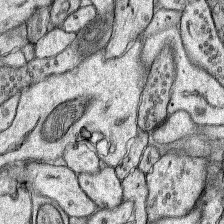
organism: Rat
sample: Hippocampus